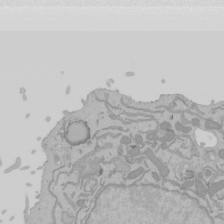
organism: Mouse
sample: Cancer cell death in ED-1 cells